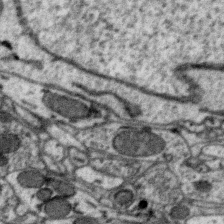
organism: Zebra finch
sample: Brain